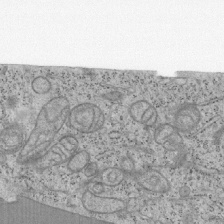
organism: Human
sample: HeLa cells